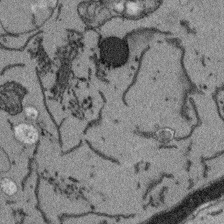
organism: Arabidopsis thaliana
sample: Root tip